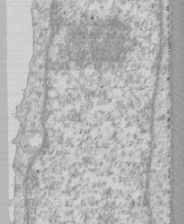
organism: Human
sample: CRL-1474